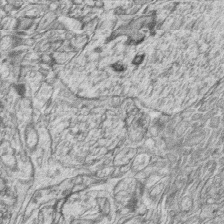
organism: Zebrafish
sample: synaptic ribbons in rod cells and cone cells